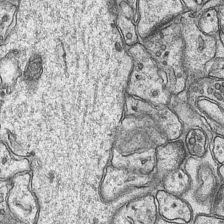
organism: Mouse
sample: CA1 Hippocampus